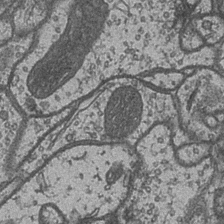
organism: Drosophila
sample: Optic medulla